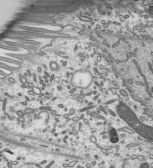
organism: Mouse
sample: Mouse epididymis efferent ductule cilia